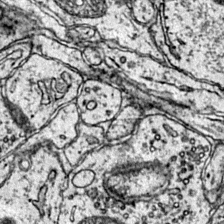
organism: Mouse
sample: Primary visual cortex